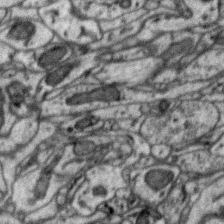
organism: Zebra finch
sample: Brain